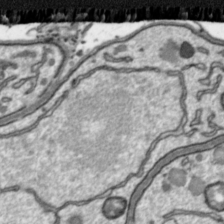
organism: Toxoplasma gondii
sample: Parasites in a vacuole inside a host cell